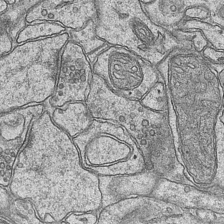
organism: Mouse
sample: CA1 Hippocampus